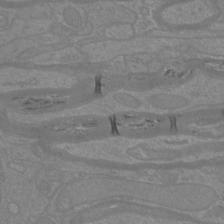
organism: Mouse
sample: Cortical neurons